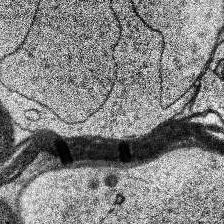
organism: Human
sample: Temporal Lobe